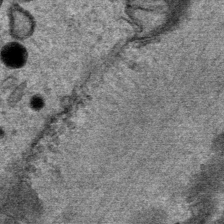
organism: Mouse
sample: Mouse Salivary gland